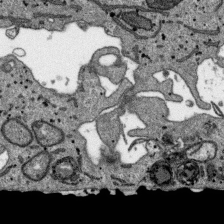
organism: Human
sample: Lung epithelial cells, uninfected (mock) control